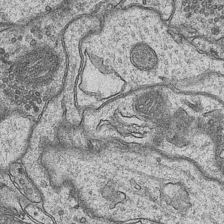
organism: Mouse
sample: CA1 Hippocampus